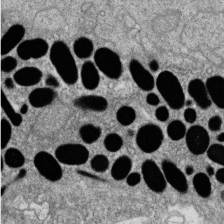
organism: Zebrafish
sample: Cilia; retinal pigment epithelium